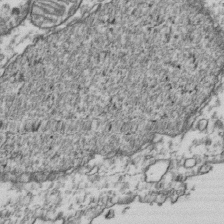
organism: Human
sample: Activated Jurkat CD4+ T cells